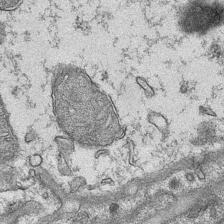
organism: Mouse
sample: CA1 Hippocampus